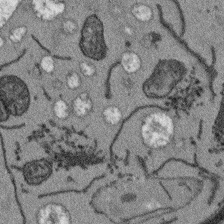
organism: Arabidopsis thaliana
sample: Root tip